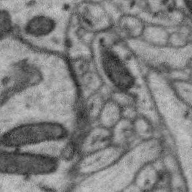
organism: Zebra finch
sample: Brain